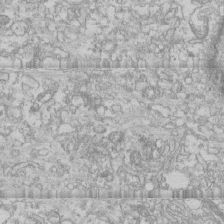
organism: Human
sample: CRL-1474